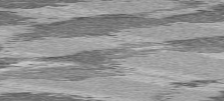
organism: C57BL Mouse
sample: Heart